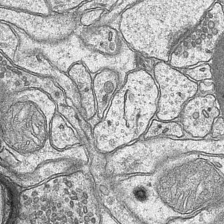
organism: Mouse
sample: CA1 Hippocampus